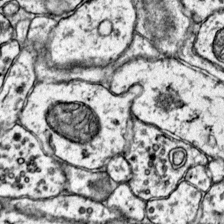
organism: Mouse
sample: Primary visual cortex